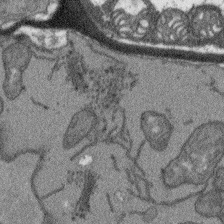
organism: Arabidopsis thaliana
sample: Root tip